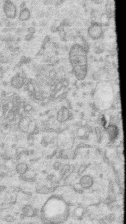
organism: Human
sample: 1205lu cells